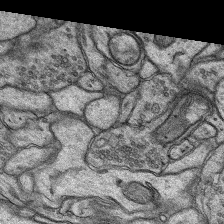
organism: Rat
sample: Hippocampus